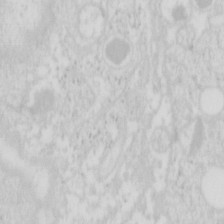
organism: Mouse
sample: Pancreas